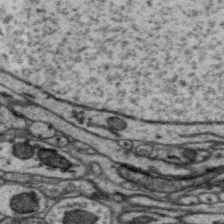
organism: Zebra finch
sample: Brain